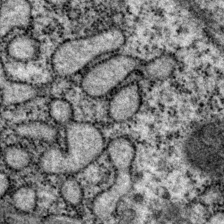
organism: P. pacificus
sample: Pharynx